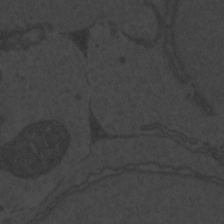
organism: Zebrafish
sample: Macrophage infected with Toxoplasma gondii